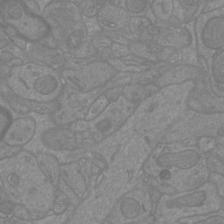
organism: Mouse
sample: Cortical neurons